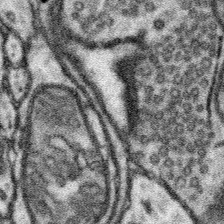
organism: Mouse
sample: Somatosensory cortex neuropil